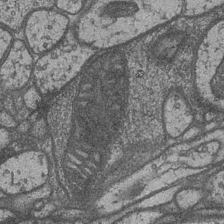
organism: Drosophila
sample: Optic medulla